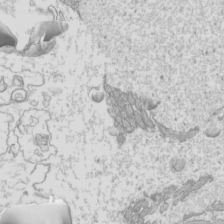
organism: Mouse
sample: Cilia; mouse epididymis